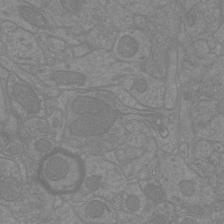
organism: Mouse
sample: Cortical neurons